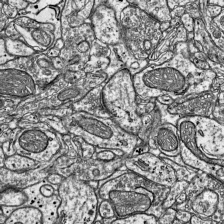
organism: Mouse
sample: Visual Cortex